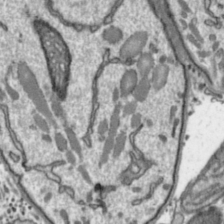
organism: Toxoplasma gondii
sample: Parasites in a vacuole inside a host cell